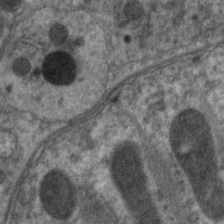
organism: C. elegans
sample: Pharynx